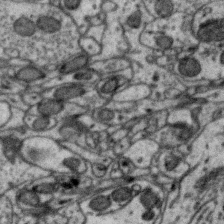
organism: Zebra finch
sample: Brain